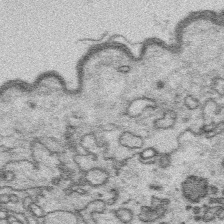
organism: Platynereis dumerilii